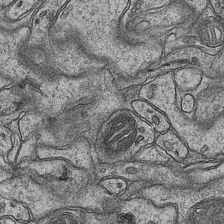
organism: Mouse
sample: CA1 Hippocampus